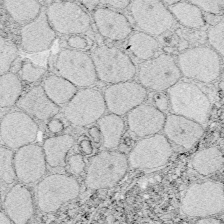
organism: Zebrafish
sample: Whole-Brain